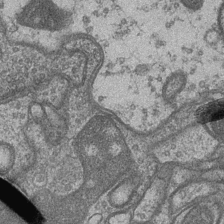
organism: Drosophila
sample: Optic medulla